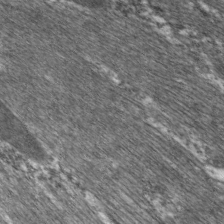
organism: C. elegans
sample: Pharynx